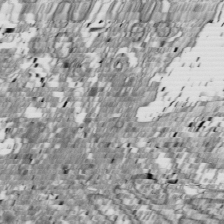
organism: Drosophila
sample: Cell division; meiosis; drosophila spermatocytes